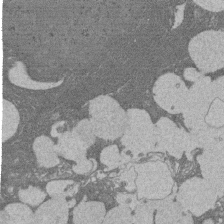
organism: Rat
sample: Salivary granule